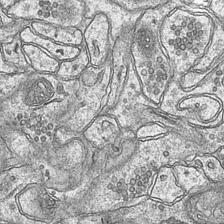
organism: Mouse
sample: CA1 Hippocampus